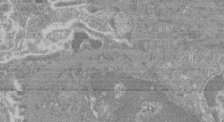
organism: Mouse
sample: Glomerulus